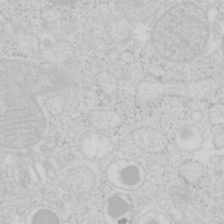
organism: Mouse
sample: Pancreas